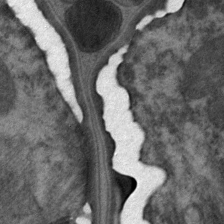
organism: C. elegans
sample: Pharynx